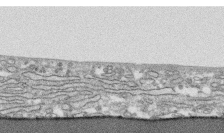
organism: Human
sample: CRL-1474